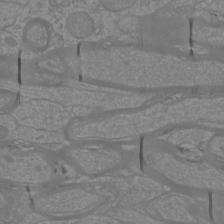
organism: Mouse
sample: Cortical neurons